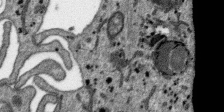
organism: Human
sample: Lung epithelial cells, uninfected (mock) control